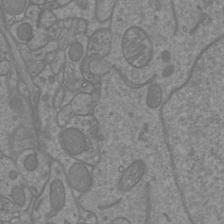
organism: Mouse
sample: Cortical neurons